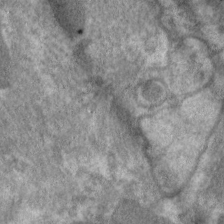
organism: C. elegans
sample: Pharynx